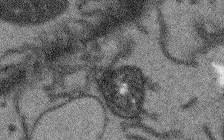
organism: Arabidopsis thaliana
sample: Root tip